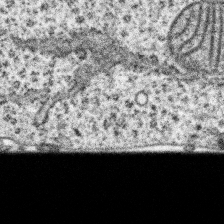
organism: Human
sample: HeLa cells